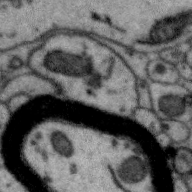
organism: Zebra finch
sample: Brain